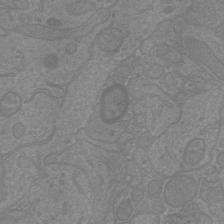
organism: Mouse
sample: Cortical neurons